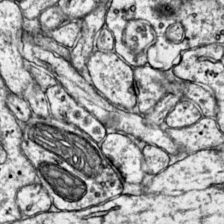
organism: Mouse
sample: Primary visual cortex